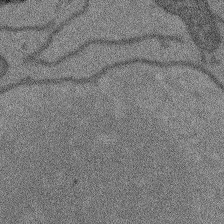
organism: Arabidopsis thaliana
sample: Root tip